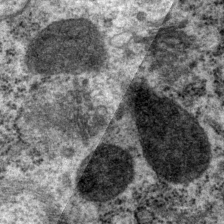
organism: P. pacificus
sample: Pharynx